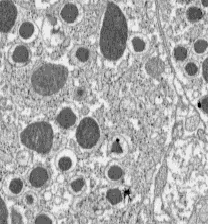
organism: C57BL Mouse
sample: Pancreatic islet